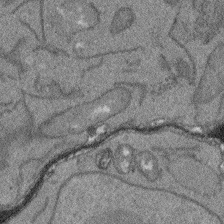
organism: Arabidopsis thaliana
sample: Root tip